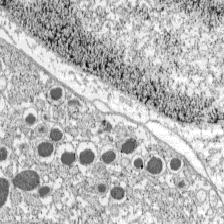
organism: C57BL Mouse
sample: Pancreatic islet